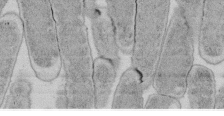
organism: E. coli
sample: Bacterial nucleoid